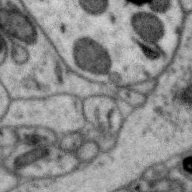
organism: Zebra finch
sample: Brain